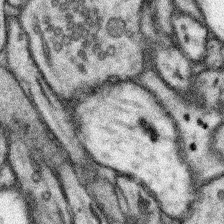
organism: Mouse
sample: Somatosensory cortex neuropil